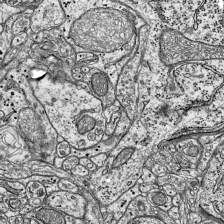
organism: Mouse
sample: Visual Cortex